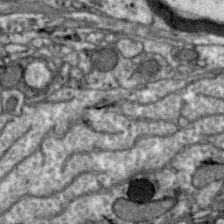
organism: Zebra finch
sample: Brain